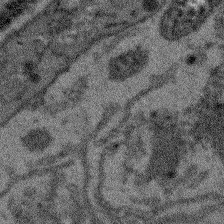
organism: Arabidopsis thaliana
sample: Root tip